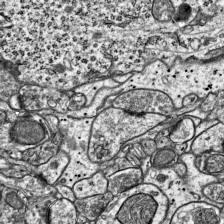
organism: Mouse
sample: Visual Cortex